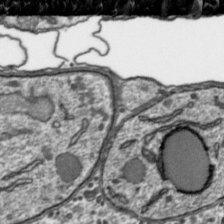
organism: Toxoplasma gondii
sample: Parasites in a vacuole inside a host cell